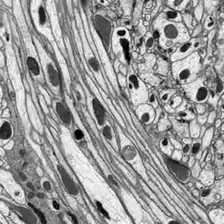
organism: Drosophila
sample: Optic lobe